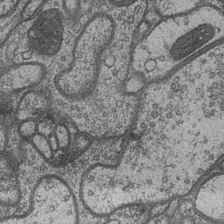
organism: Drosophila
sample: Optic medulla